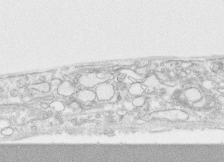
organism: Human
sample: CRL-1474